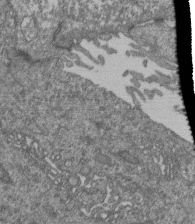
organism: Human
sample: Retinal organoid Rod and Cone cells